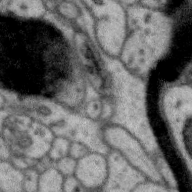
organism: Zebra finch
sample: Brain